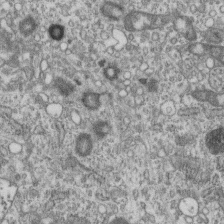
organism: Mouse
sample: Centriole in ependymal cells